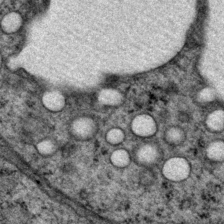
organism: P. pacificus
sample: Pharynx